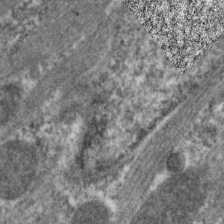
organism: C. elegans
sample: Pharynx